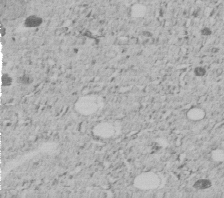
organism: C. elegans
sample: C. elegans embryo early stage